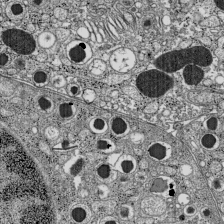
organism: C57BL Mouse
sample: Pancreatic islet